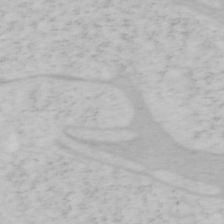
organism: Mouse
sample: OT-I killer T cells with ID8 ovarian cancer cells